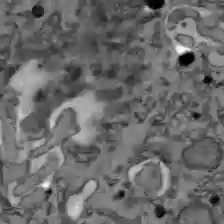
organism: C57BL Mouse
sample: Liver